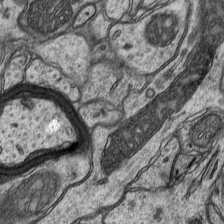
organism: Mouse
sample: CA1 Hippocampus